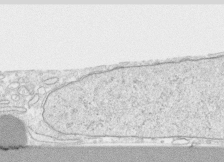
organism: Human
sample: CRL-1474